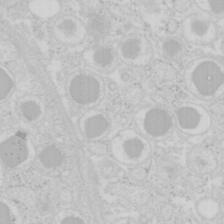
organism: Mouse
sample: Pancreas